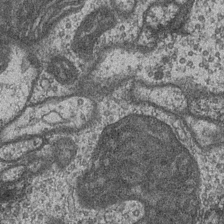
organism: Drosophila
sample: Optic medulla